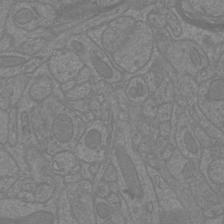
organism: Mouse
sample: Cortical neurons